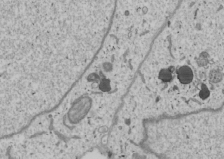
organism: Human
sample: Mitochondria in U2OS cells